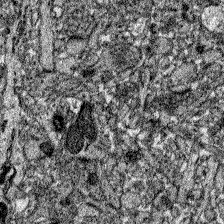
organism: Zebrafish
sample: Larval olfactory bulb